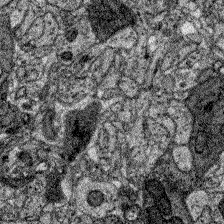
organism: Zebrafish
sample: Larval olfactory bulb